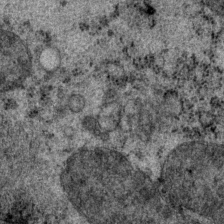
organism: P. pacificus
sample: Pharynx